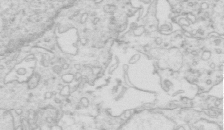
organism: Mouse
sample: Multiciliated cells